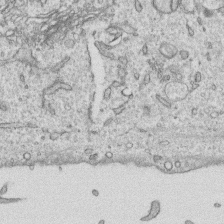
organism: Human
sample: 1205lu cells